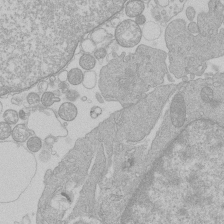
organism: Human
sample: Macrophage cells